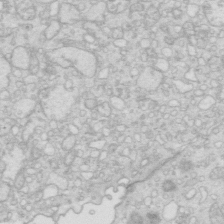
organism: Mouse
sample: Multiciliated cells